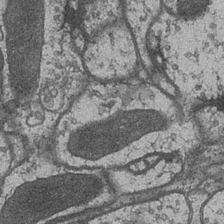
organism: Drosophila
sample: Optic medulla